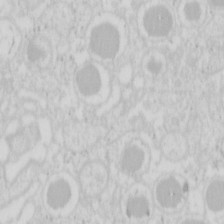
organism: Mouse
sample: Pancreas